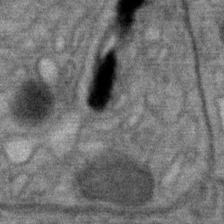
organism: Mouse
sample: Mouse Salivary gland